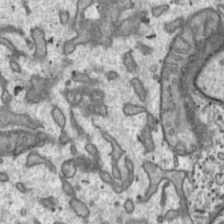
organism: Toxoplasma gondii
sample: Parasites in a vacuole inside a host cell